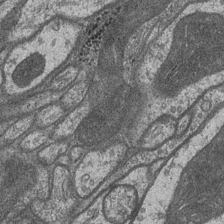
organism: Drosophila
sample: Optic medulla